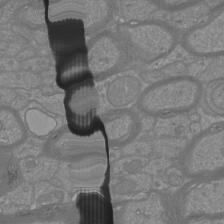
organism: Mouse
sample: Cortical neurons